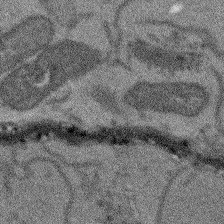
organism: Arabidopsis thaliana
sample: Root tip